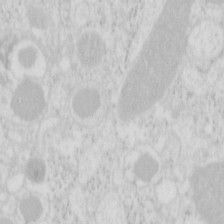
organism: Mouse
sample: Pancreas